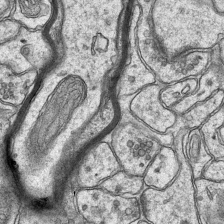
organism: Mouse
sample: CA1 Hippocampus